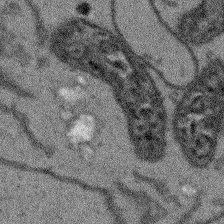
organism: Arabidopsis thaliana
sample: Root tip